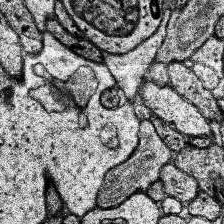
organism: Human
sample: Temporal Lobe